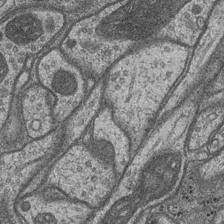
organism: Drosophila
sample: Optic medulla